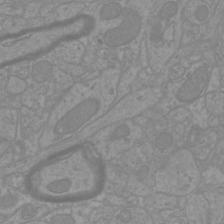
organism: Mouse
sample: Cortical neurons